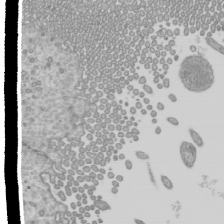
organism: Mouse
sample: Cilia; mouse epididymis